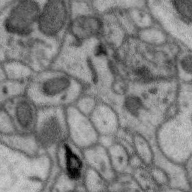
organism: Zebra finch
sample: Brain